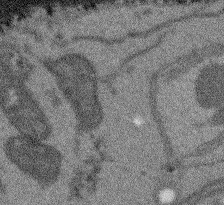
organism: Arabidopsis thaliana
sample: Root tip